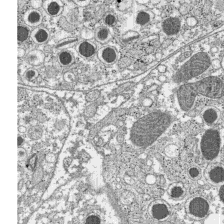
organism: C57BL Mouse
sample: Pancreatic islet